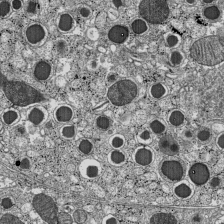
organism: C57BL Mouse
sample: Pancreatic islet